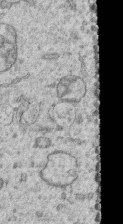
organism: Human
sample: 1205lu cells